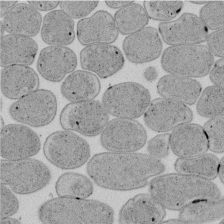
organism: E. coli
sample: Bacterial nucleoid